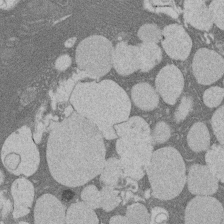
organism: Rat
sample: Salivary granule